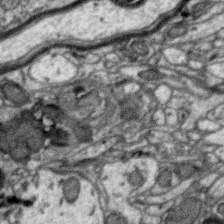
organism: Zebra finch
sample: Brain